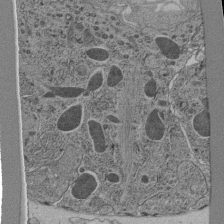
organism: C. elegans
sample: C. elegans pharynx